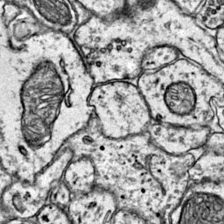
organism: Mouse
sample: Primary visual cortex